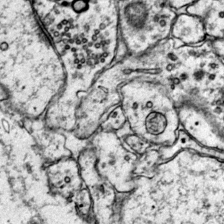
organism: Mouse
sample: Primary visual cortex